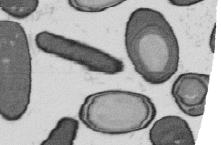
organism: B. subtilis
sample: Bacterial spore